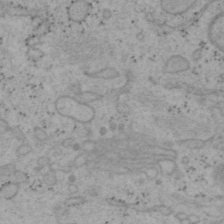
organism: Human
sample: HeLa cells